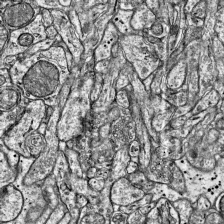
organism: Mouse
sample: Visual Cortex